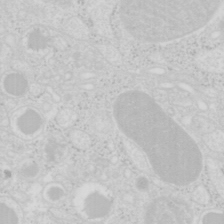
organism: Mouse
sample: Pancreas